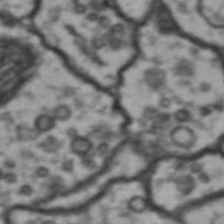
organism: Drosophila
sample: Brain